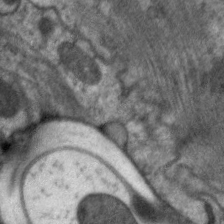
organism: C. elegans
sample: Pharynx